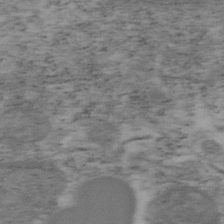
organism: Mouse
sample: OT-I killer T cells with ID8 ovarian cancer cells